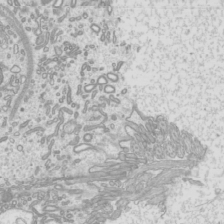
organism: Mouse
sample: Cilia; mouse epididymis